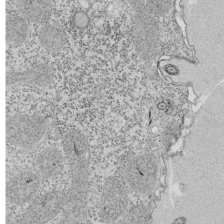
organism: Tetrahymena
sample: Cilia in tetrahymena